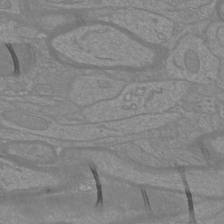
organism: Mouse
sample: Cortical neurons